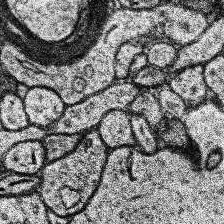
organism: Human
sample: Temporal Lobe